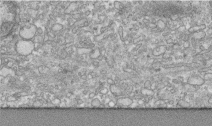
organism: Human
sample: Centriole in RPE cells